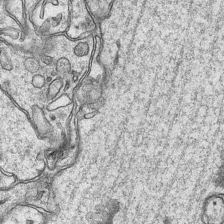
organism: Mouse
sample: CA1 Hippocampus